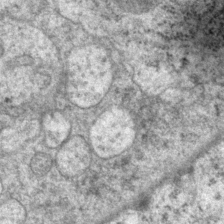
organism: P. pacificus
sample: Pharynx